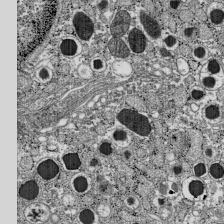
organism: C57BL Mouse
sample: Pancreatic islet